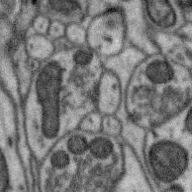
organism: Zebra finch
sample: Brain